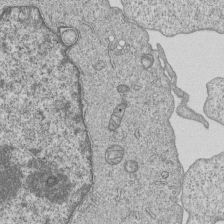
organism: Human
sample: MDA-MB-231 cells